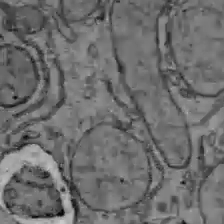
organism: C57BL Mouse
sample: Liver